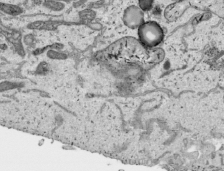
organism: Human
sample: Mitochondria in HCT116 cells